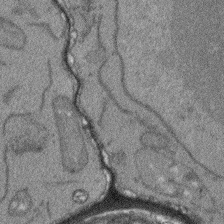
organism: Arabidopsis thaliana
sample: Root tip